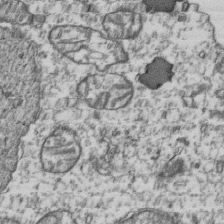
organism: Human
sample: Activated Jurkat CD4+ T cells